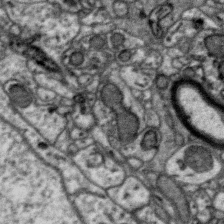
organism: Zebra finch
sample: Brain